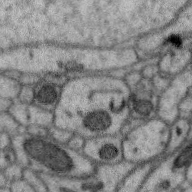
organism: Zebra finch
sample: Brain